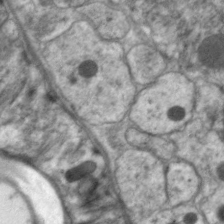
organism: C. elegans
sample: Pharynx